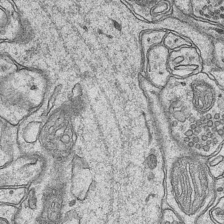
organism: Mouse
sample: CA1 Hippocampus